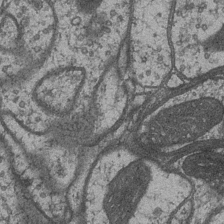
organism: Drosophila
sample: Optic medulla